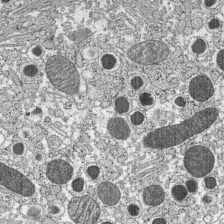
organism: C57BL Mouse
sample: Pancreatic islet